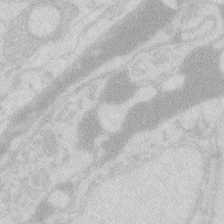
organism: Zebrafish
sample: Macrophage